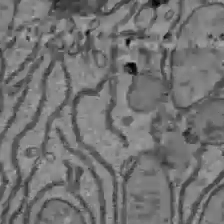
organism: C57BL Mouse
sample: Liver